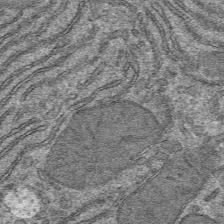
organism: Mouse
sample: Mouse hepatocytes